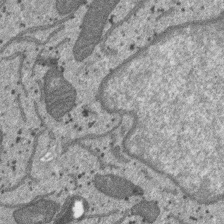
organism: Human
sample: Lung epithelial cells infected with SARS-CoV-2